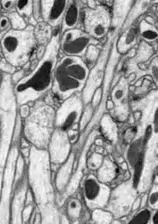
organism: Drosophila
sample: Optic lobe